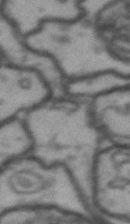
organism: Drosophila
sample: Brain